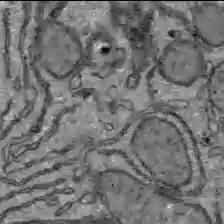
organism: C57BL Mouse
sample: Liver